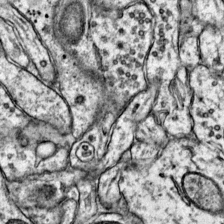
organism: Mouse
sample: Primary visual cortex